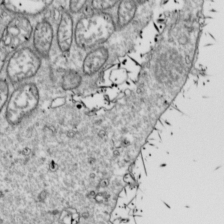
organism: Drosophila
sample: Cell division; meiosis; drosophila spermatocytes